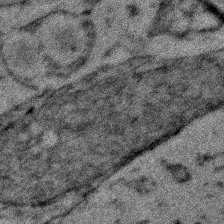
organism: Zebrafish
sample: Zebrafish embryo